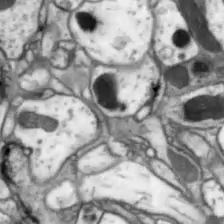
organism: Drosophila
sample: Optic lobe